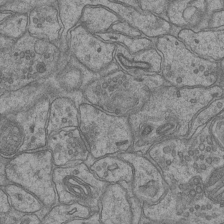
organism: Mouse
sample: CA1 Hippocampus